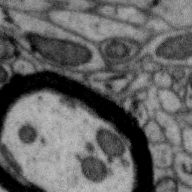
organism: Zebra finch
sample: Brain